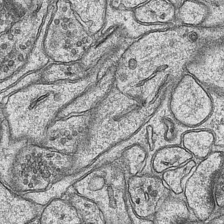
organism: Mouse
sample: CA1 Hippocampus